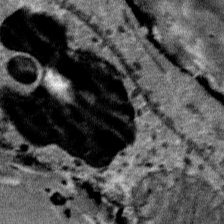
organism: Mouse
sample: Mouse Salivary gland